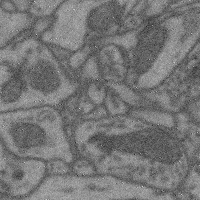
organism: Mouse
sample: Cerebral cortex